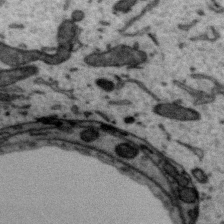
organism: Zebra finch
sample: Brain